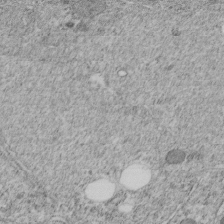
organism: C. elegans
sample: C. elegans embryo early stage